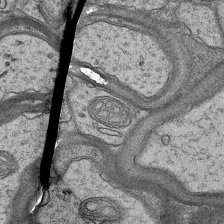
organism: Mouse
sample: CA1 Hippocampus